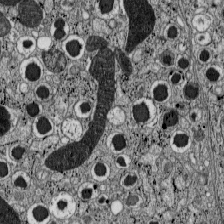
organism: C57BL Mouse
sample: Pancreatic islet